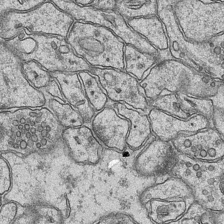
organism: Mouse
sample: CA1 Hippocampus